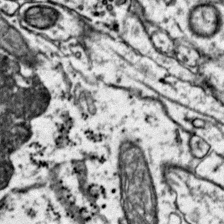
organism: Mouse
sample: Primary visual cortex